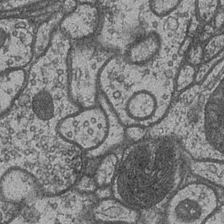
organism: Drosophila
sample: Optic medulla